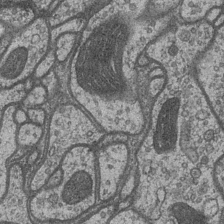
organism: Drosophila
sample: Optic medulla